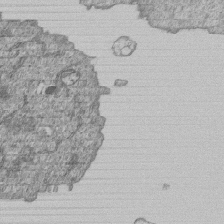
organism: Human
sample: MDA-MB-231 cells